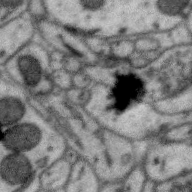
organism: Zebra finch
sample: Brain